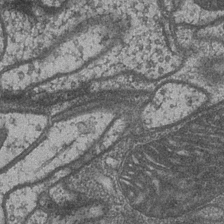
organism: Drosophila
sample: Optic medulla